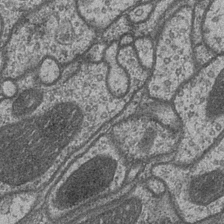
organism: Drosophila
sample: Optic medulla